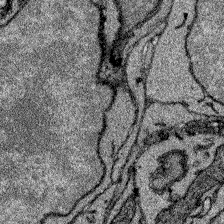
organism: Zebrafish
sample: Larval olfactory bulb